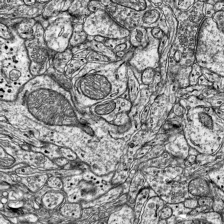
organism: Mouse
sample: Visual Cortex